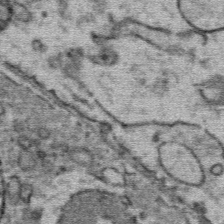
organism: Mouse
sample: Mouse Salivary gland